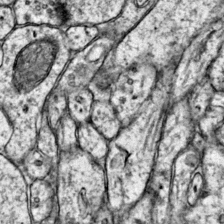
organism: Mouse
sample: Primary visual cortex